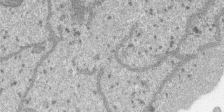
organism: Human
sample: Lung epithelial cells infected with SARS-CoV-2